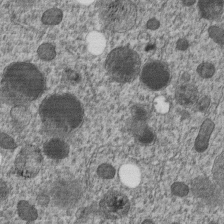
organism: C. elegans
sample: C. elegans embryo early stage